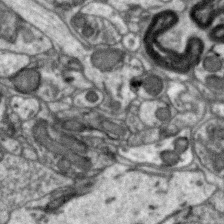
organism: Zebra finch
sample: Brain